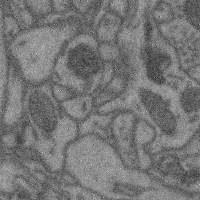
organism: Mouse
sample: Cerebral cortex